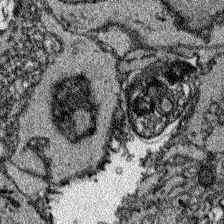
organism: Zebrafish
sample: Larval olfactory bulb